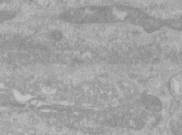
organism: Human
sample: Centriole in RPE cells